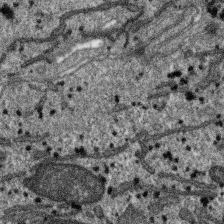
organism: Human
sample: Lung epithelial cells infected with SARS-CoV-2